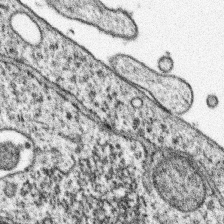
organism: Human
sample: HeLa cells